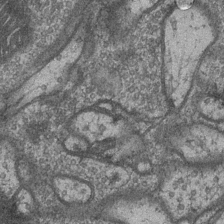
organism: Drosophila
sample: Optic medulla